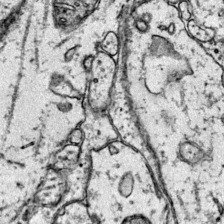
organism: Mouse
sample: Primary visual cortex